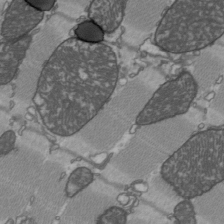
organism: C57BL Mouse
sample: Heart